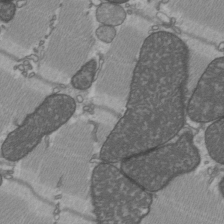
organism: C57BL Mouse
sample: Heart